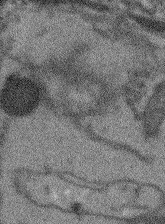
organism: Arabidopsis thaliana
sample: Root tip